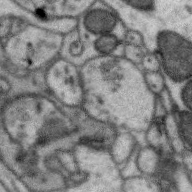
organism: Zebra finch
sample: Brain